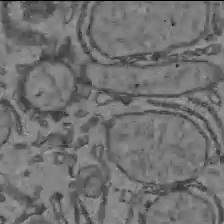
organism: C57BL Mouse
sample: Liver